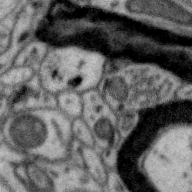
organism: Zebra finch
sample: Brain